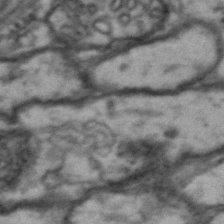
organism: Drosophila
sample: Brain